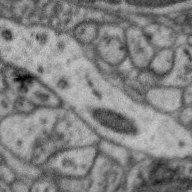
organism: Zebra finch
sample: Brain